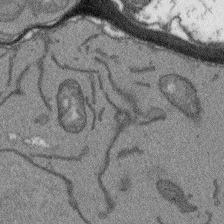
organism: Arabidopsis thaliana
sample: Root tip